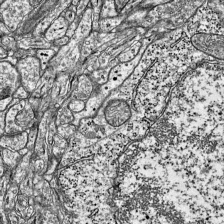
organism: Mouse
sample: Visual Cortex